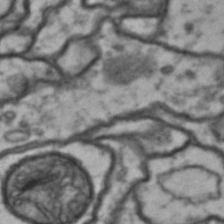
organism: Drosophila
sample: Brain